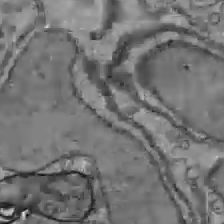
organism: C57BL Mouse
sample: Liver